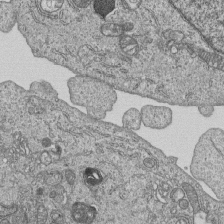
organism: Human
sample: MDA-MB-231 cells